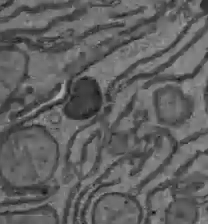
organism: C57BL Mouse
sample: Liver